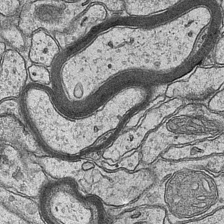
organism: Mouse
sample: CA1 Hippocampus